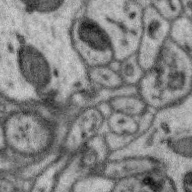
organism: Zebra finch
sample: Brain